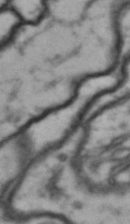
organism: Drosophila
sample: Brain